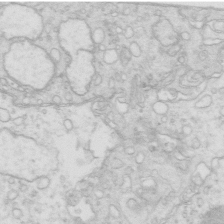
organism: Mouse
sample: Multiciliated cells